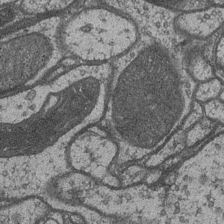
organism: Drosophila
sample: Optic medulla